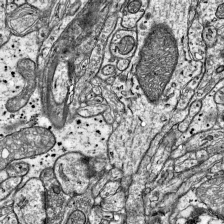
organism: Mouse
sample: Visual Cortex